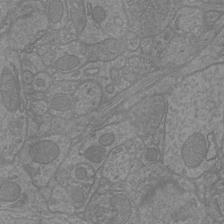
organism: Mouse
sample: Cortical neurons